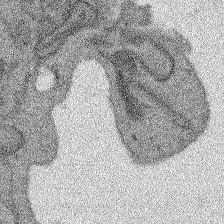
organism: Human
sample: HeLa cells